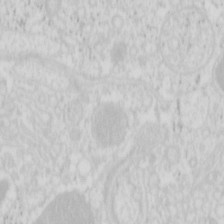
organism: Mouse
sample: Pancreas